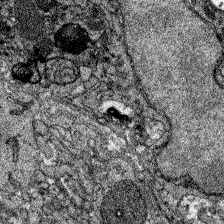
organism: Zebrafish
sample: Larval olfactory bulb